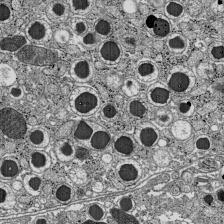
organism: C57BL Mouse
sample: Pancreatic islet